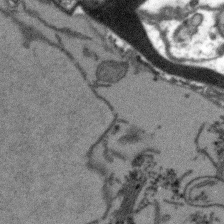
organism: Arabidopsis thaliana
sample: Root tip